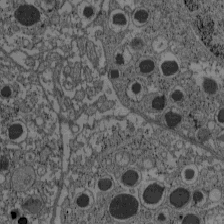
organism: C57BL Mouse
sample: Pancreatic islet